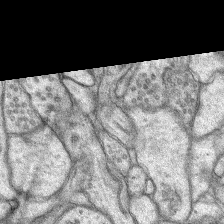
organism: Rat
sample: Hippocampus